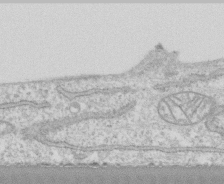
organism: Human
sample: CRL-1474